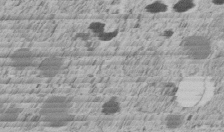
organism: C. elegans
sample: C. elegans embryo early stage